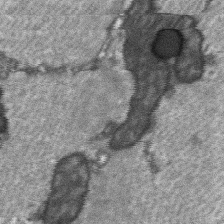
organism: C57BL Mouse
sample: Soleus